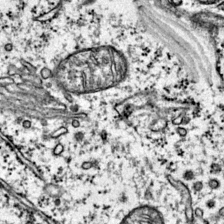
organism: Mouse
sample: Primary visual cortex